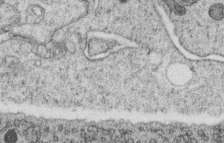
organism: C. elegans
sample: C. elegans oocyte; sperm cells